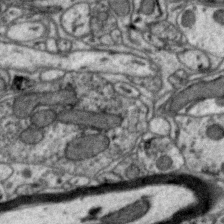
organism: Zebra finch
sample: Brain